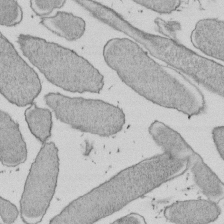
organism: E. coli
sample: Bacterial nucleoid